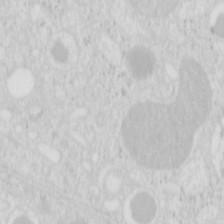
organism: Mouse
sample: Pancreas